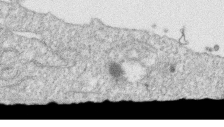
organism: Human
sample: HeLa cell HIV synapse